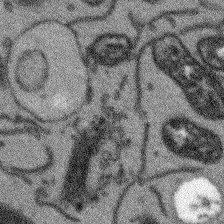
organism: Arabidopsis thaliana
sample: Root tip